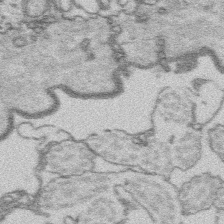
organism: Platynereis dumerilii